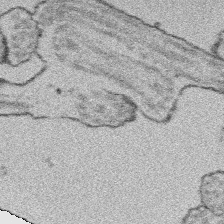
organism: Platynereis dumerilii